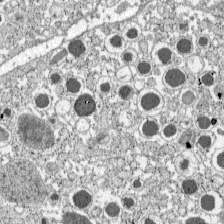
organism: C57BL Mouse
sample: Pancreatic islet